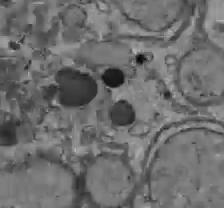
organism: C57BL Mouse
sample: Liver